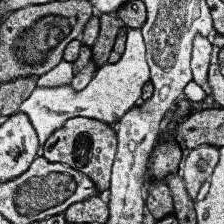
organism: Human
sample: Temporal Lobe